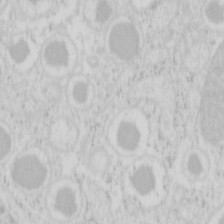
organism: Mouse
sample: Pancreas